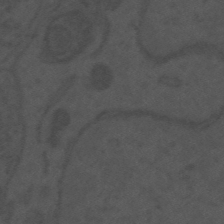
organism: Mouse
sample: Suprachiasmatic nucleus